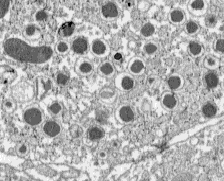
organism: C57BL Mouse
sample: Pancreatic islet